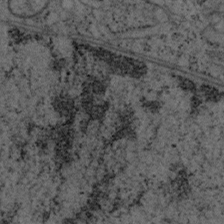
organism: Human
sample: HeLa cells